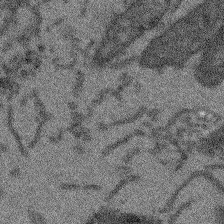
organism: Arabidopsis thaliana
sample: Root tip